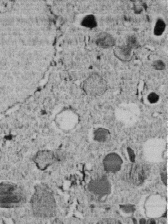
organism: C. elegans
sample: C. elegans embryo early stage